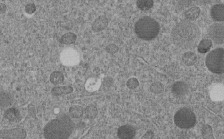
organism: C. elegans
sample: C. elegans embryo early stage